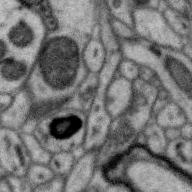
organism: Zebra finch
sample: Brain